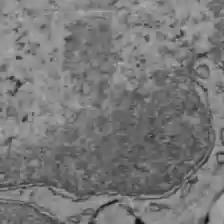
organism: C57BL Mouse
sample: Liver